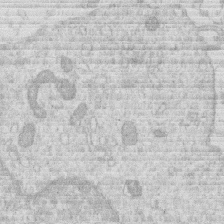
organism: Human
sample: Macrophage cells